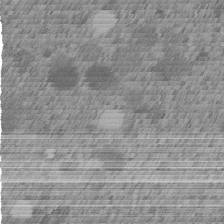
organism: C. elegans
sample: C. elegans embryo early stage